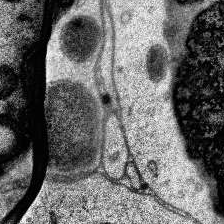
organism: Human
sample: Temporal Lobe